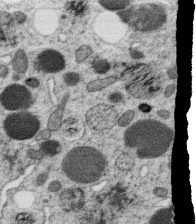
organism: C. elegans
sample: C. elegans oocyte; sperm cells